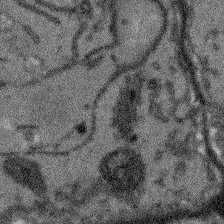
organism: Arabidopsis thaliana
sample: Root tip